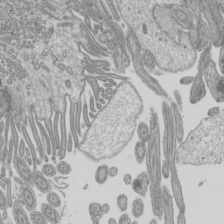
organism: Mouse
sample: Cilia; mouse epididymis